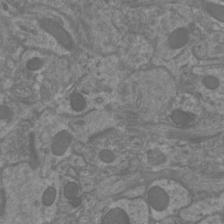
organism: Mouse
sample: Cortical neurons